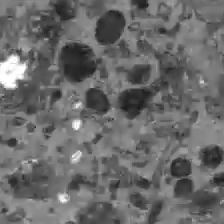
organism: C57BL Mouse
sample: Liver